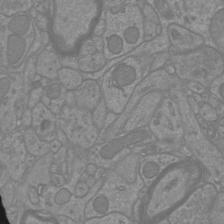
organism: Mouse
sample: Cortical neurons